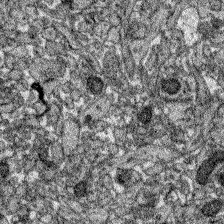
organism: Zebrafish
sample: Larval olfactory bulb